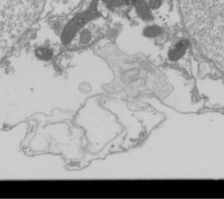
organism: Drosophila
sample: Cell division; meiosis; drosophila spermatocytes